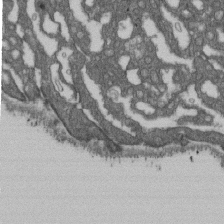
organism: Drosophila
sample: Nephrocyte